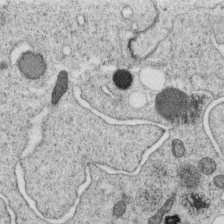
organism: C. elegans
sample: C. elegans oocyte; sperm cells